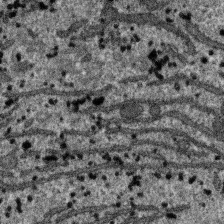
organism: Human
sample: Lung epithelial cells infected with SARS-CoV-2